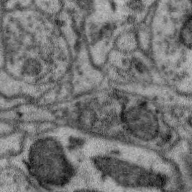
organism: Zebra finch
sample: Brain